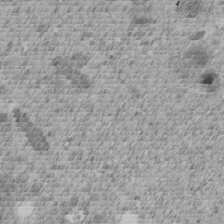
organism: C. elegans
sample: C. elegans embryo early stage